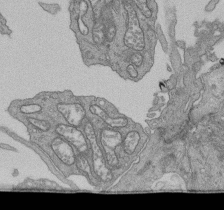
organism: Human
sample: Retinal organoid Rod and Cone cells